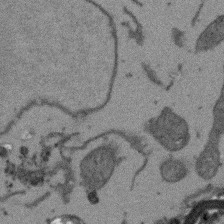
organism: Arabidopsis thaliana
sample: Root tip